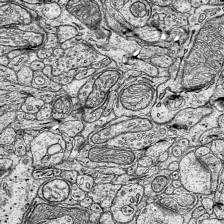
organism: Mouse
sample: Visual Cortex